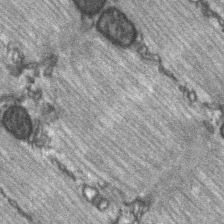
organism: C57BL Mouse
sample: Soleus